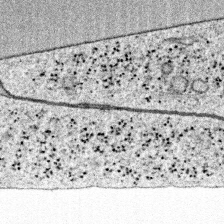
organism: Human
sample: HeLa cells